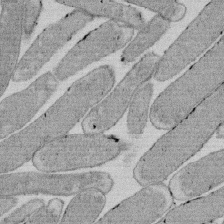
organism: E. coli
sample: Bacterial nucleoid